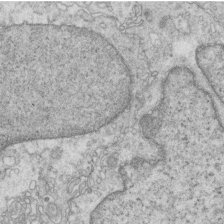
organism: Mouse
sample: Multiciliated cells